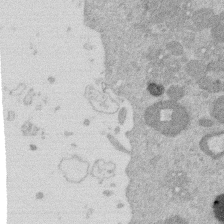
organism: Mouse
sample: Dividing mouse embryo 1 cell stage